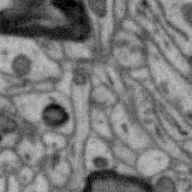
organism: Zebra finch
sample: Brain